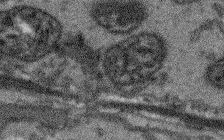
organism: Arabidopsis thaliana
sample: Root tip